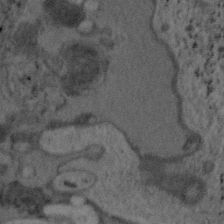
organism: Human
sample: HeLa cells